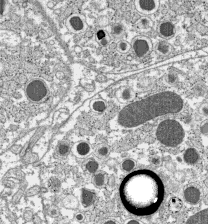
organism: C57BL Mouse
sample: Pancreatic islet